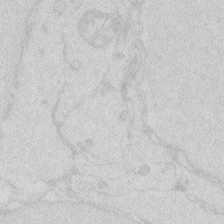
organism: Zebrafish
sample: Macrophage